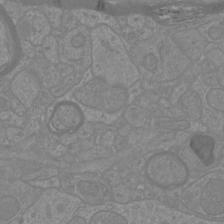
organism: Mouse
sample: Cortical neurons